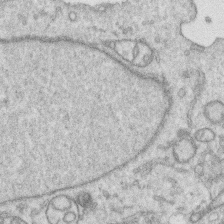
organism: Human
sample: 1205lu cells